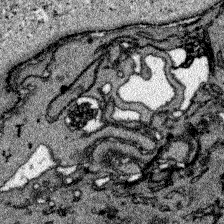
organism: Zebrafish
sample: Larval olfactory bulb